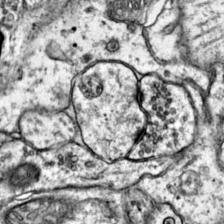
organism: Mouse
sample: Primary visual cortex